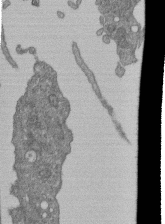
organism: Human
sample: Retinal organoid Rod and Cone cells